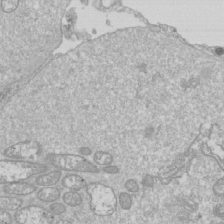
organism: Drosophila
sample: Cell division; meiosis; drosophila spermatocytes